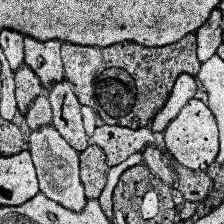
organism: Human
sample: Temporal Lobe